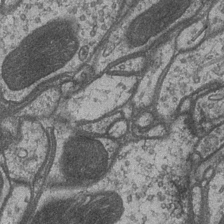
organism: Drosophila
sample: Optic medulla